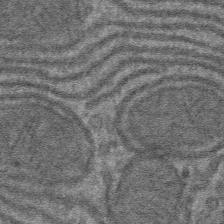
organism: Mouse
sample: Mouse hepatocytes